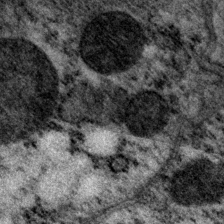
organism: P. pacificus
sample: Pharynx